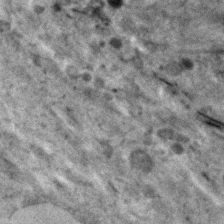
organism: Human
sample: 1205lu cells